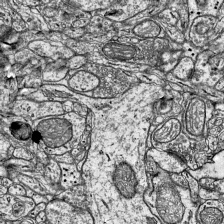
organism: Mouse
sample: Visual Cortex